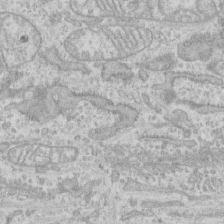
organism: Human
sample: CRL-1474